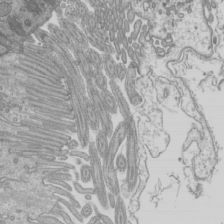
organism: Mouse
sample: Cilia; mouse epididymis